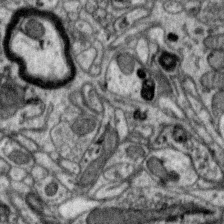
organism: Zebra finch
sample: Brain